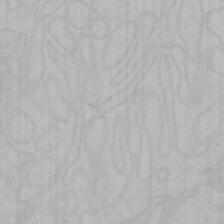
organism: Mouse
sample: Choroid plexus